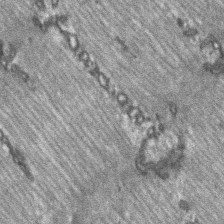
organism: C57BL Mouse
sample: Soleus